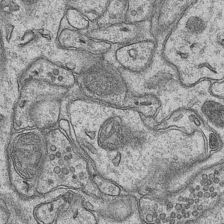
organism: Mouse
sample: CA1 Hippocampus